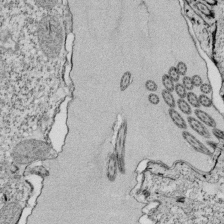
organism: Tetrahymena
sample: Cilia in tetrahymena